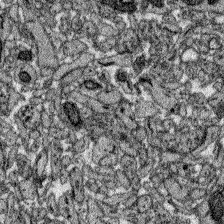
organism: Zebrafish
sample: Larval olfactory bulb